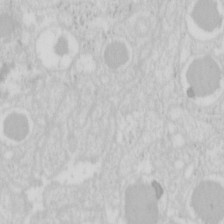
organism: Mouse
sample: Pancreas